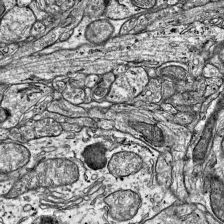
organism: Mouse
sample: Visual Cortex